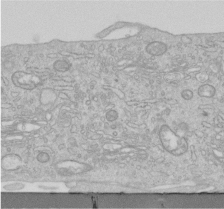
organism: Human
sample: Centriole in RPE cells